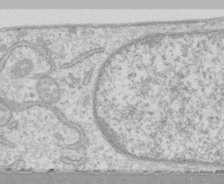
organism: Human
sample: CRL-1474